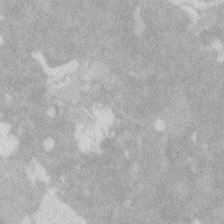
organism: Zebrafish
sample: Macrophage